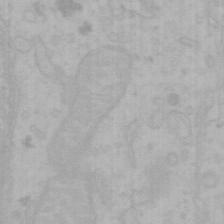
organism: Mouse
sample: Choroid plexus